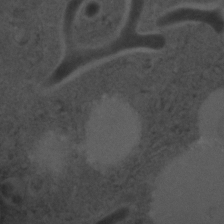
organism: C. elegans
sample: C. elegans embryo